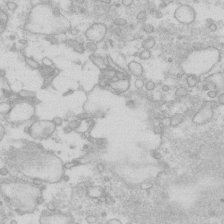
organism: Human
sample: Fibroblast cells